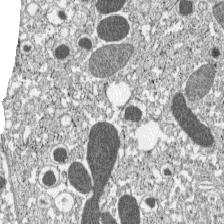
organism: C57BL Mouse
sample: Pancreatic islet